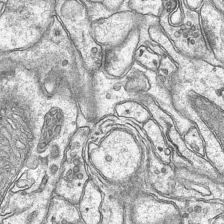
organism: Mouse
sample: CA1 Hippocampus